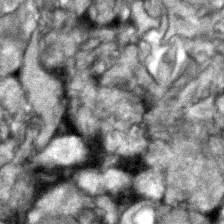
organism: Zebrafish